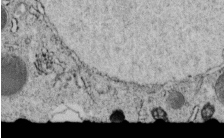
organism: C. elegans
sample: C. elegans embryo early stage